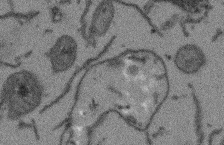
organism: Arabidopsis thaliana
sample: Root tip